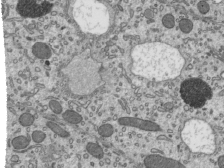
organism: Mouse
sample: Mouse epididymis efferent ductule cilia